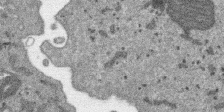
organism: Human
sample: Lung epithelial cells infected with SARS-CoV-2